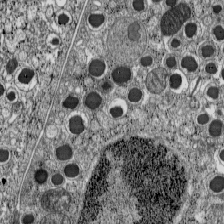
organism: C57BL Mouse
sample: Pancreatic islet